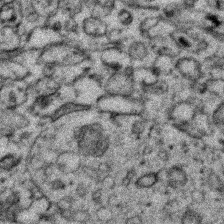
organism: Zebrafish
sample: Zebrafish embryo